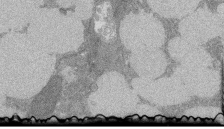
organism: Rat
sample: Salivary granule